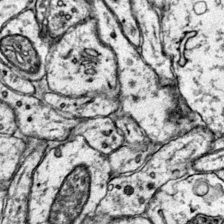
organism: Mouse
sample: Primary visual cortex